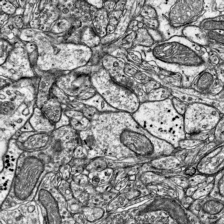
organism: Mouse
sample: Visual Cortex